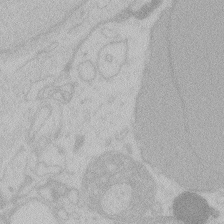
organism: Zebrafish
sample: Macrophage infected with Toxoplasma gondii